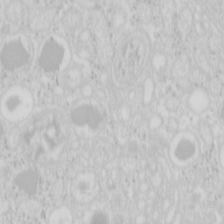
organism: Mouse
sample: Pancreas